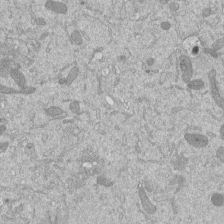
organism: Mouse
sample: ED-1 cell nuclei; centrioles